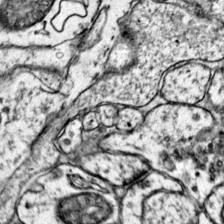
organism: Mouse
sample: Primary visual cortex